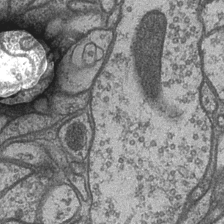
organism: Drosophila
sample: Optic medulla